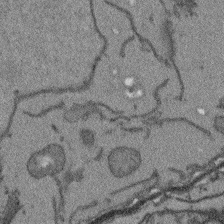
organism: Arabidopsis thaliana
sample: Root tip